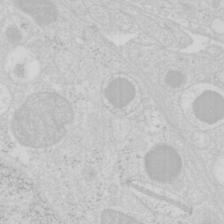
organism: Mouse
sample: Pancreas